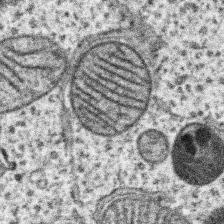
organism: Human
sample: HeLa cells